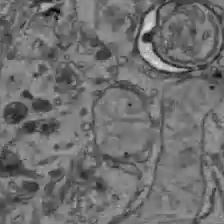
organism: C57BL Mouse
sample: Liver